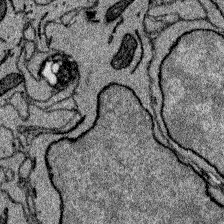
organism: Zebrafish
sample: Larval olfactory bulb